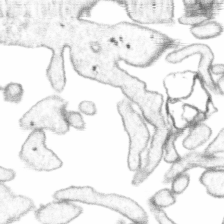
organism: Human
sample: HeLa cells